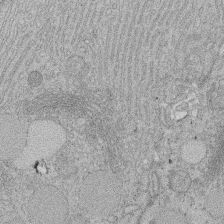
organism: Rat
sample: Salivary granule